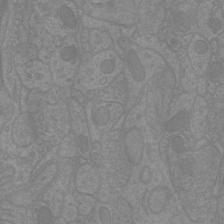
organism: Mouse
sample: Cortical neurons